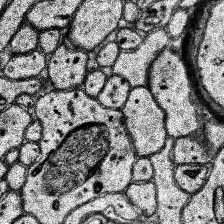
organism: Human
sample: Temporal Lobe